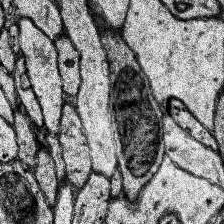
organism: Human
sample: Temporal Lobe